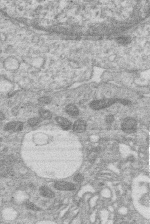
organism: Human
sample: Macrophage cells